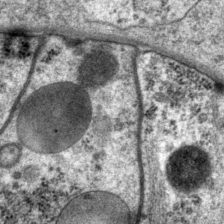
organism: P. pacificus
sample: Pharynx